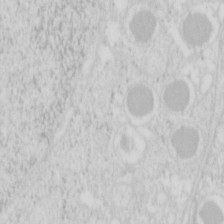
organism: Mouse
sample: Pancreas